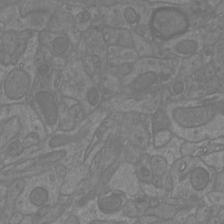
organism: Mouse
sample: Cortical neurons